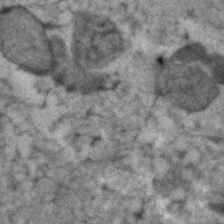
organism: Human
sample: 1205lu cells